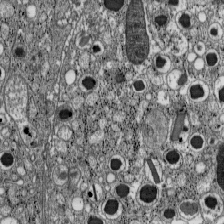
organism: C57BL Mouse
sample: Pancreatic islet